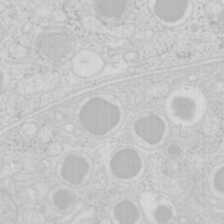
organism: Mouse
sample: Pancreas